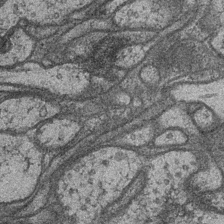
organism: Drosophila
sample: Optic medulla